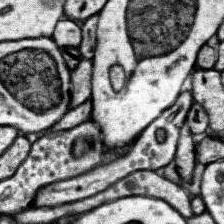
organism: Human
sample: Temporal Lobe